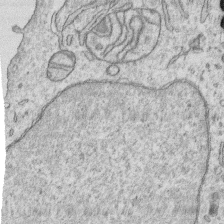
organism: Human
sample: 1205lu cells